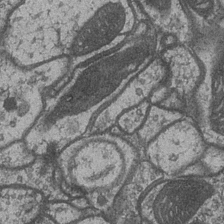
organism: Drosophila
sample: Optic medulla